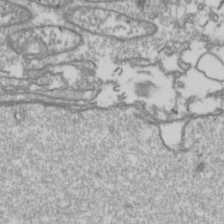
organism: Drosophila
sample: Cell division; meiosis; drosophila spermatocytes